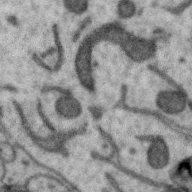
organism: Zebra finch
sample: Brain